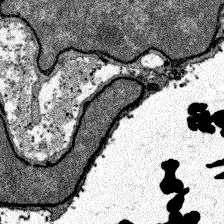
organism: Zebrafish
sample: Larval olfactory bulb